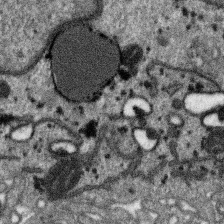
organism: Human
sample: Lung epithelial cells infected with SARS-CoV-2